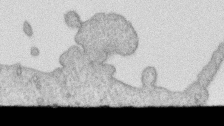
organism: Human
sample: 1205lu cells